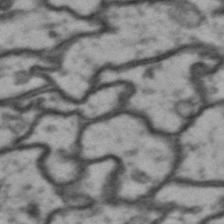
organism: Drosophila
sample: Brain